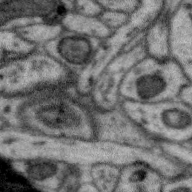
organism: Zebra finch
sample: Brain